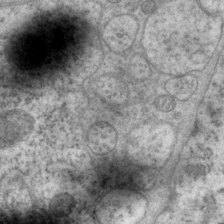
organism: P. pacificus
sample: Pharynx